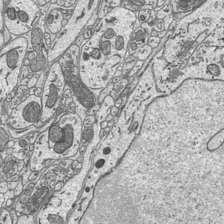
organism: Mouse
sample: Suprachiasmatic nucleus